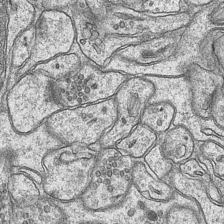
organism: Mouse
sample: CA1 Hippocampus